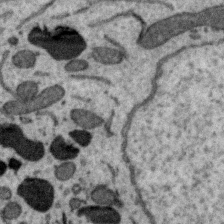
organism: Zebra finch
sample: Brain